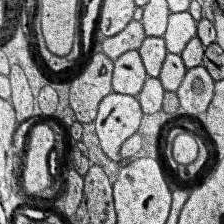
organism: Human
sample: Temporal Lobe